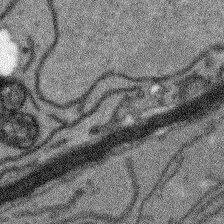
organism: Arabidopsis thaliana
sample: Root tip